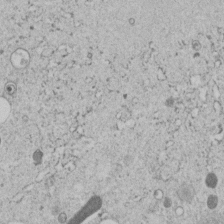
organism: C. elegans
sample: C. elegans embryo early stage